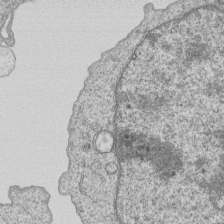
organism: Human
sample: MDA-MB-231 cells